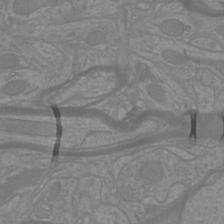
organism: Mouse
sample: Cortical neurons